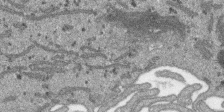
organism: Human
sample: Lung epithelial cells infected with SARS-CoV-2